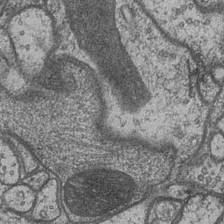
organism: Drosophila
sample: Optic medulla